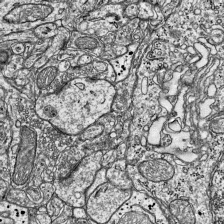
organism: Mouse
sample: Visual Cortex